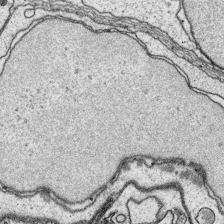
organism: Platynereis dumerilii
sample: Parapodia